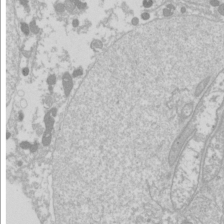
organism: Drosophila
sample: Cell division; meiosis; drosophila spermatocytes